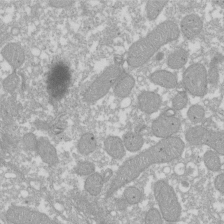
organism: Xenopus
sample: Cilia; centrioles in frog embryo cells